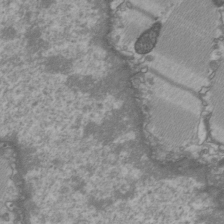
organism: C57BL Mouse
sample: Heart